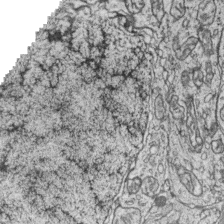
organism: Zebrafish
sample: synaptic ribbons in rod cells and cone cells